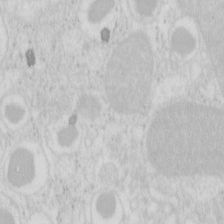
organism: Mouse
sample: Pancreas